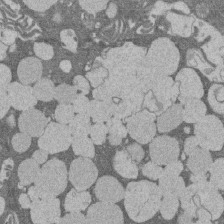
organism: Rat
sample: Salivary granule